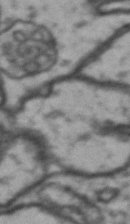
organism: Drosophila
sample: Brain